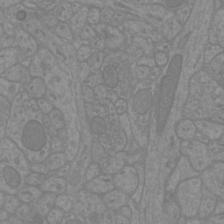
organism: Mouse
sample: Cortical neurons